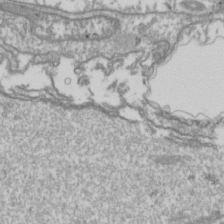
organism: Drosophila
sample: Cell division; meiosis; drosophila spermatocytes